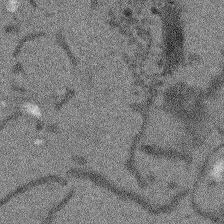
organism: Arabidopsis thaliana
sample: Root tip